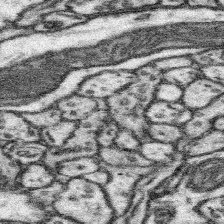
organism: Mouse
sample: Somatosensory cortex neuropil